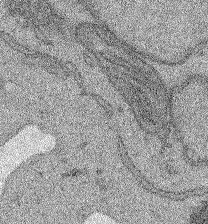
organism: Human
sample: HeLa cells